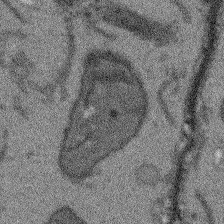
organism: Arabidopsis thaliana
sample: Root tip